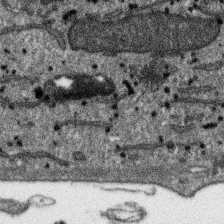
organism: Human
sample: Lung epithelial cells infected with SARS-CoV-2